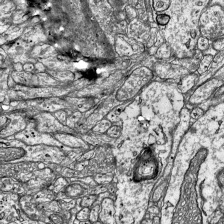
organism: Mouse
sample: Visual Cortex